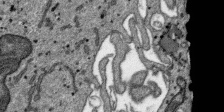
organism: Human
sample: Lung epithelial cells, uninfected (mock) control